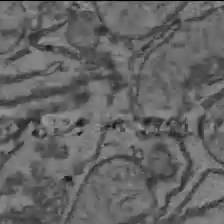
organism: C57BL Mouse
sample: Liver